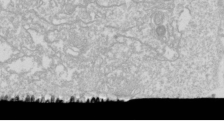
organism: Drosophila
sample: Cell division; meiosis; drosophila spermatocytes